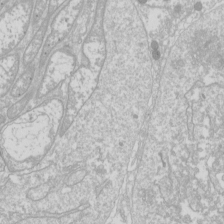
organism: Drosophila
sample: Cell division; meiosis; drosophila spermatocytes